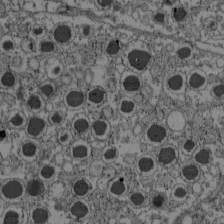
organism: C57BL Mouse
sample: Pancreatic islet